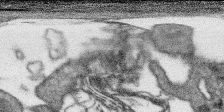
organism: Human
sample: Lung epithelial cells infected with SARS-CoV-2